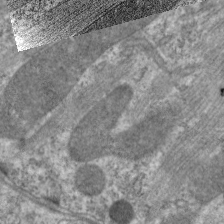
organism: C. elegans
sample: Pharynx